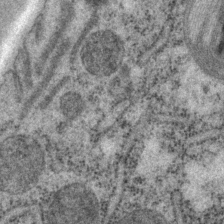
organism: P. pacificus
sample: Pharynx